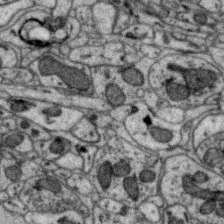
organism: Zebra finch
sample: Brain